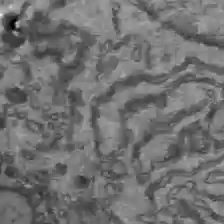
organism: C57BL Mouse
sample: Liver